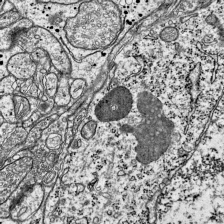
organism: Mouse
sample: Visual Cortex